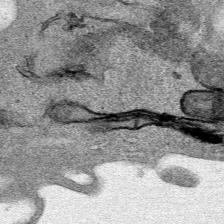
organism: Human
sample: Mitochondria in HCT116 cells